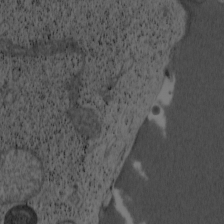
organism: African green monkey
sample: COS-7 cells